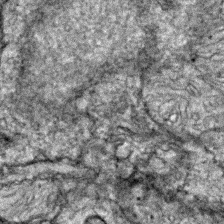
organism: Zebrafish